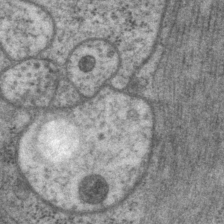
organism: P. pacificus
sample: Pharynx